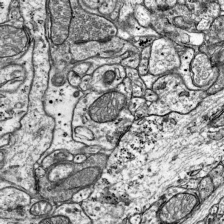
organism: Mouse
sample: Visual Cortex